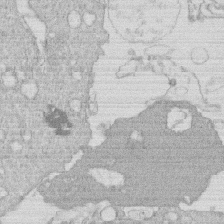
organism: Human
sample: Macrophage cells